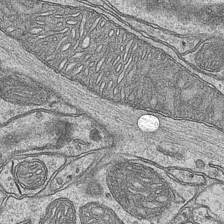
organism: Mouse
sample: CA1 Hippocampus